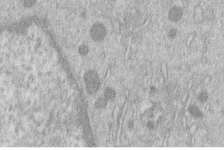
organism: Human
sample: Macrophage cells